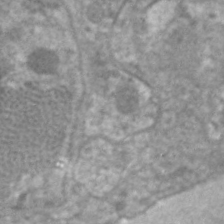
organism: C. elegans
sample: Pharynx